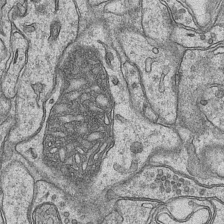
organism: Mouse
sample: CA1 Hippocampus